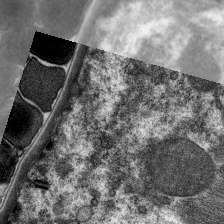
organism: C. elegans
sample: Pharynx